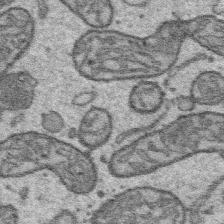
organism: Platynereis dumerilii